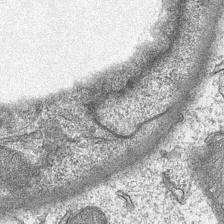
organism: Mouse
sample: CA1 Hippocampus